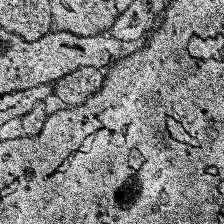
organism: Human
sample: Temporal Lobe